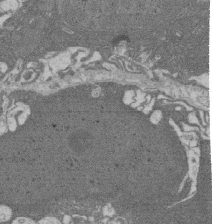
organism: Rat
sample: Salivary granule